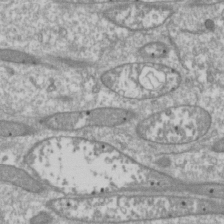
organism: Drosophila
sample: Cell division; meiosis; drosophila spermatocytes